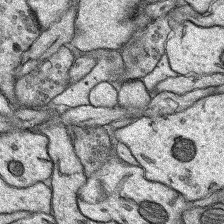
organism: Rat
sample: Hippocampus